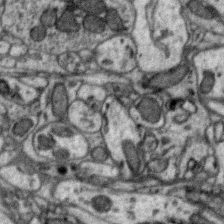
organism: Zebra finch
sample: Brain